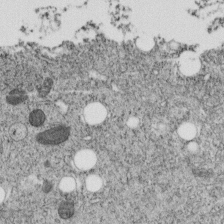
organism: C. elegans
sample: C. elegans embryo early stage